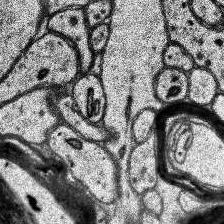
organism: Human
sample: Temporal Lobe